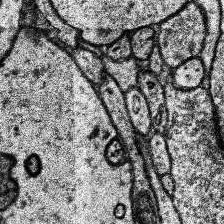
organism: Human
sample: Temporal Lobe